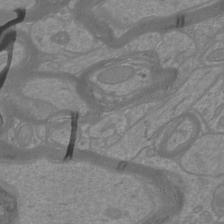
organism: Mouse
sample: Cortical neurons